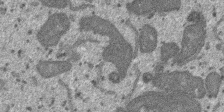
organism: Human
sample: Lung epithelial cells infected with SARS-CoV-2